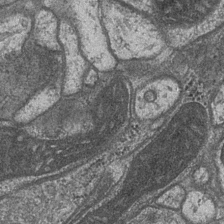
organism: Drosophila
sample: Optic medulla